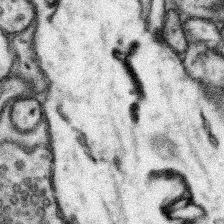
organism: Mouse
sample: Somatosensory cortex neuropil